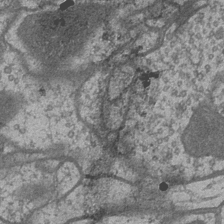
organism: Drosophila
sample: Optic medulla